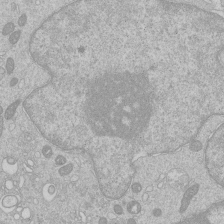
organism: Human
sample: Macrophage cells